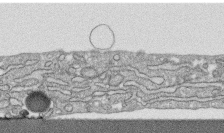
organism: Human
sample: CRL-1474